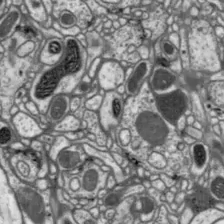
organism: Drosophila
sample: Protocerebral bridge